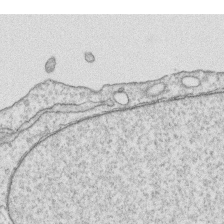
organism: Human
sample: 1205lu cells